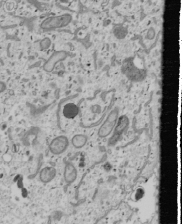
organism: Human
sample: Mitochondria in U2OS cells